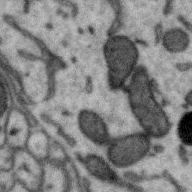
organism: Zebra finch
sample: Brain